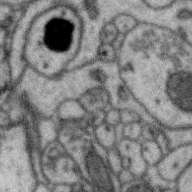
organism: Zebra finch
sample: Brain